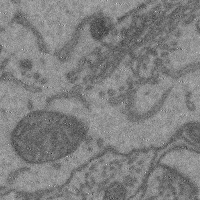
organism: Mouse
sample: Cerebral cortex